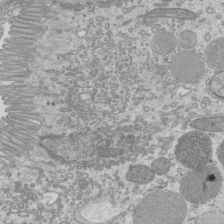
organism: Mouse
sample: Cilia; mouse epididymis